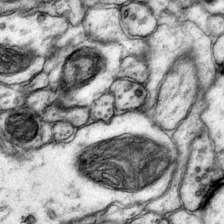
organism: Mouse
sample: Primary visual cortex